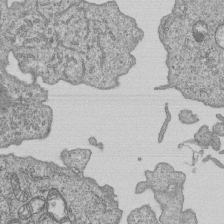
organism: Human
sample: MDA-MB-231 cells